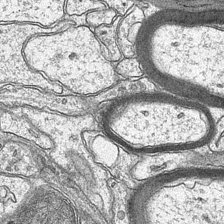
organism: Mouse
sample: CA1 Hippocampus